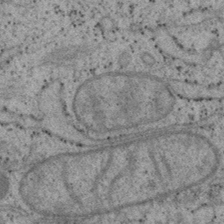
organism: Human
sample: HeLa cells